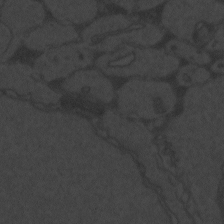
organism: Zebrafish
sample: Macrophage infected with Toxoplasma gondii